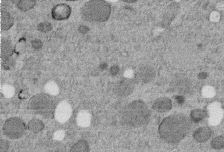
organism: C. elegans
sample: C. elegans embryo early stage